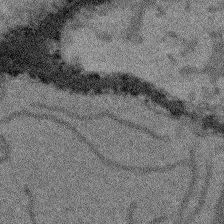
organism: Arabidopsis thaliana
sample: Root tip